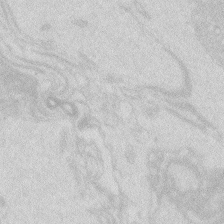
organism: Zebrafish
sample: Macrophage